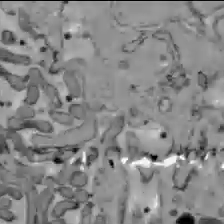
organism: C57BL Mouse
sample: Liver